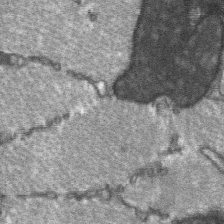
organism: C57BL Mouse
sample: Soleus